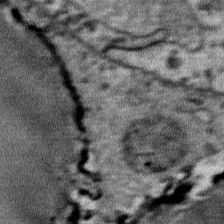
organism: Mouse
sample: Mouse Salivary gland